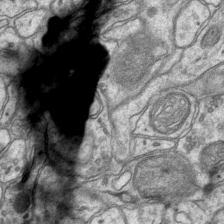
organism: Mouse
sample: CA1 Hippocampus